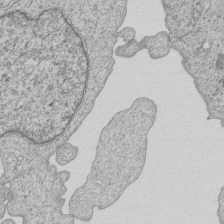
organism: Human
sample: MDA-MB-231 cells